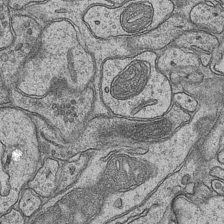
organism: Mouse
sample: CA1 Hippocampus